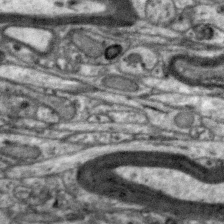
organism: Zebra finch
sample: Brain